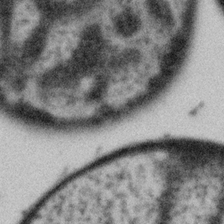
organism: Gemmata obscuriglobus